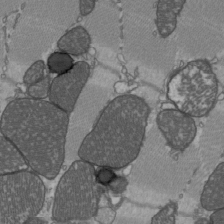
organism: C57BL Mouse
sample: Heart